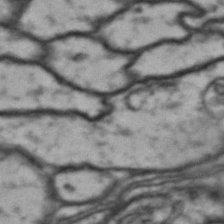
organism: Drosophila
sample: Brain